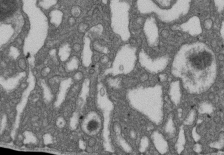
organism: Drosophila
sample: Nephrocyte